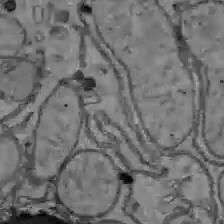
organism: C57BL Mouse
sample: Liver